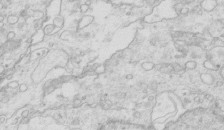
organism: Mouse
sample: Multiciliated cells